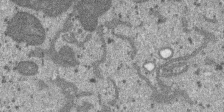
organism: Human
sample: Lung epithelial cells infected with SARS-CoV-2